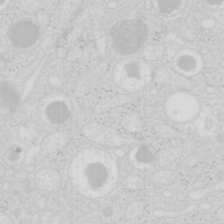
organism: Mouse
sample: Pancreas